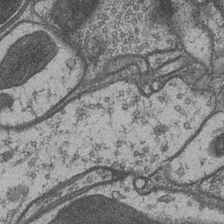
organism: Drosophila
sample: Optic medulla